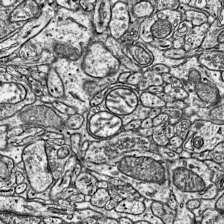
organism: Mouse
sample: Visual Cortex